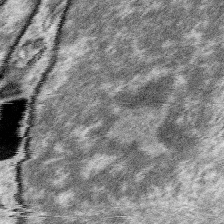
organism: Human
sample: HeLa cells